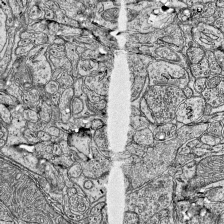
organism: Mouse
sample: Visual Cortex